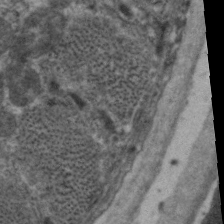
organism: C. elegans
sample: Pharynx